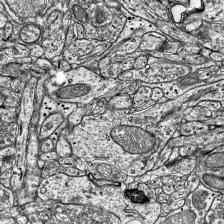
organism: Mouse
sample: Visual Cortex